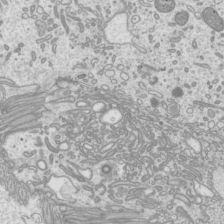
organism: Mouse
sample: Cilia; mouse epididymis